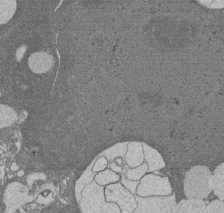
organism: Rat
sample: Salivary granule